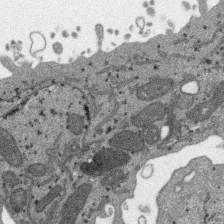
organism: Human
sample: Lung epithelial cells infected with SARS-CoV-2